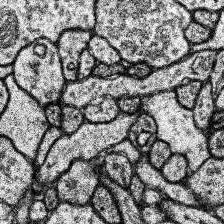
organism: Human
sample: Temporal Lobe